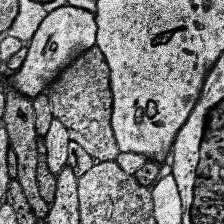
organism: Human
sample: Temporal Lobe